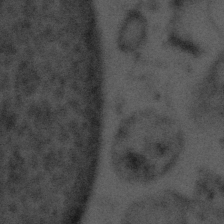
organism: Tuwongella immobilis